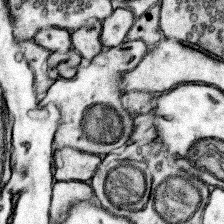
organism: Mouse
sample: Somatosensory cortex neuropil